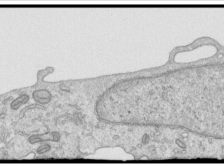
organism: Human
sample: Centriole in RPE cells